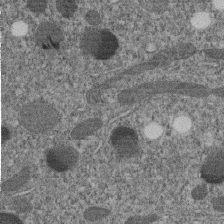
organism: C. elegans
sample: C. elegans embryo early stage